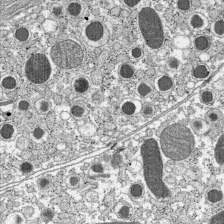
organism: C57BL Mouse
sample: Pancreatic islet